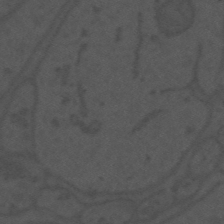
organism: Mouse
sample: Suprachiasmatic nucleus